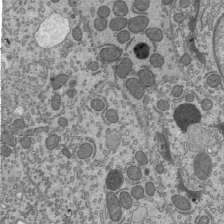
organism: Mouse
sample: Mouse epididymis efferent ductule cilia